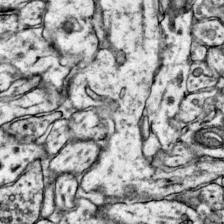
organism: Mouse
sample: Primary visual cortex